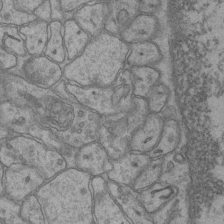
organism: Mouse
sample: CA1 Hippocampus